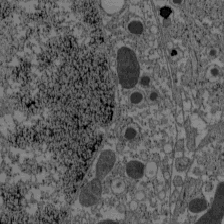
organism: C57BL Mouse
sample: Pancreatic islet